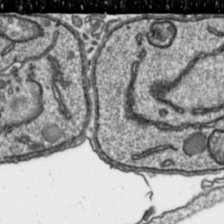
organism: Toxoplasma gondii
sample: Parasites in a vacuole inside a host cell